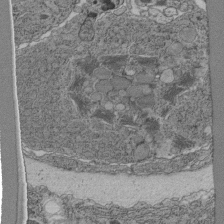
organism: C. elegans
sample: C. elegans pharynx